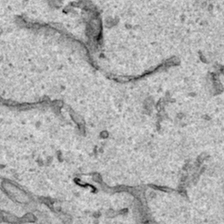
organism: Human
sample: Mitochondria in HCT116 cells